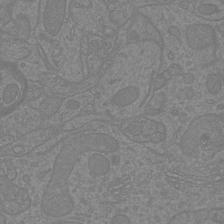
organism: Mouse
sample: Cortical neurons